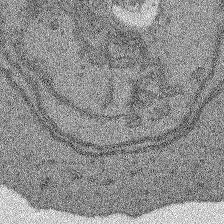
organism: Human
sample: HeLa cells